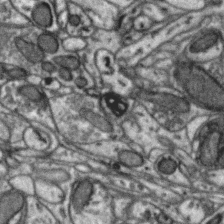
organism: Zebra finch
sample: Brain